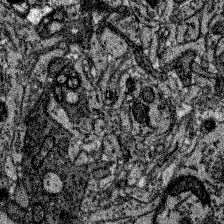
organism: Zebrafish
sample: Larval olfactory bulb